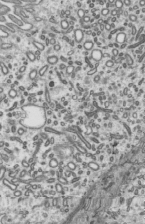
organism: Mouse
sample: Mouse epididymis efferent ductule cilia